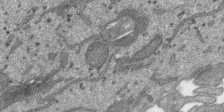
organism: Human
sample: Lung epithelial cells infected with SARS-CoV-2